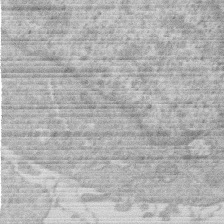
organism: Human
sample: Macrophage cells